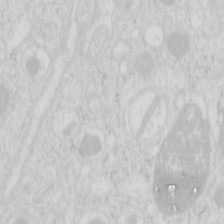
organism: Mouse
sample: Pancreas